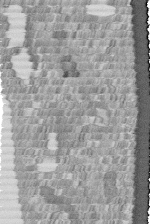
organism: Human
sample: Centriole in fibroblast cells